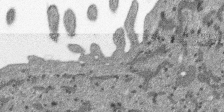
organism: Human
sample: Lung epithelial cells infected with SARS-CoV-2